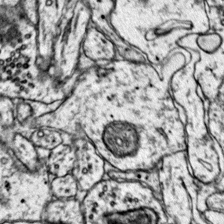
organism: Mouse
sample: Primary visual cortex